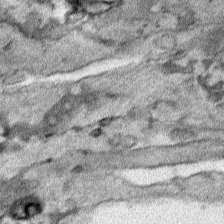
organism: Human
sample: Mitochondria in HCT116 cells